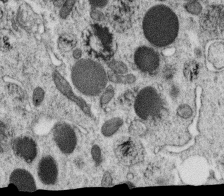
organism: C. elegans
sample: C. elegans oocyte; sperm cells